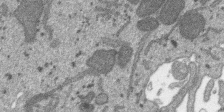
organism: Human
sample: Lung epithelial cells infected with SARS-CoV-2